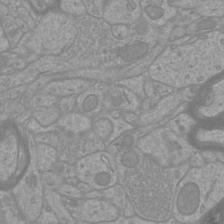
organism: Mouse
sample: Cortical neurons